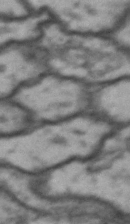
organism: Drosophila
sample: Brain